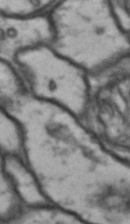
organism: Drosophila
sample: Brain